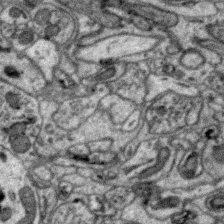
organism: Zebra finch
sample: Brain